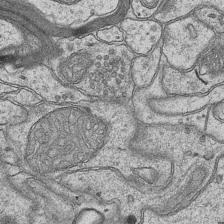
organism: Mouse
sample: CA1 Hippocampus